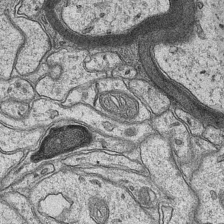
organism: Mouse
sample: CA1 Hippocampus